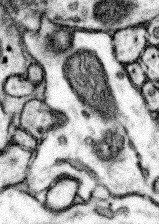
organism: Mouse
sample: Somatosensory cortex neuropil